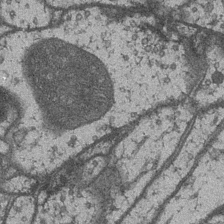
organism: Drosophila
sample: Optic medulla